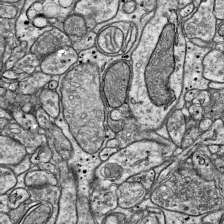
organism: Mouse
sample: Visual Cortex